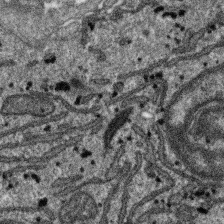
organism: Human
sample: Lung epithelial cells infected with SARS-CoV-2